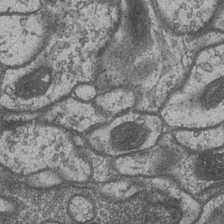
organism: Drosophila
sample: Optic medulla